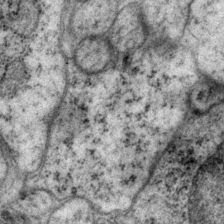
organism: P. pacificus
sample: Pharynx